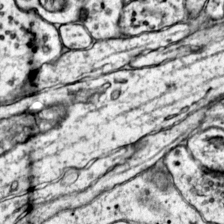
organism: Mouse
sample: Primary visual cortex